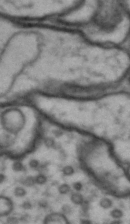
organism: Drosophila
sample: Brain